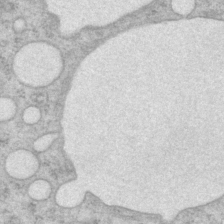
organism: P. pacificus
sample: Pharynx